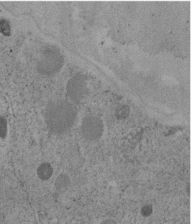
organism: C. elegans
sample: C. elegans embryo early stage